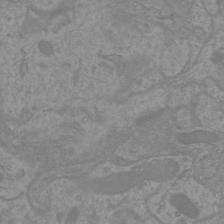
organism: Mouse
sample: Cortical neurons